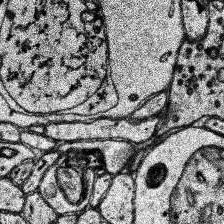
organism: Human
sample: Temporal Lobe